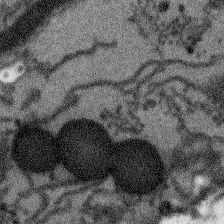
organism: Arabidopsis thaliana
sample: Root tip